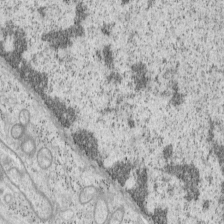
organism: Mouse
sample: OT-I killer T cells with ID8 ovarian cancer cells